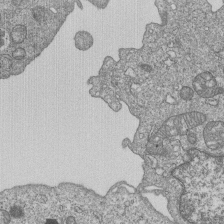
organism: Human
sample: MDA-MB-231 cells